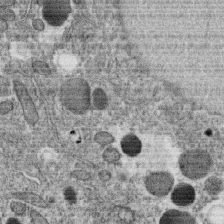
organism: C. elegans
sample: C. elegans oocyte; sperm cells